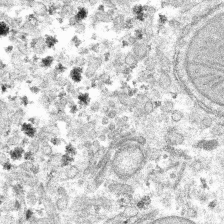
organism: Mouse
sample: Mouse hepatocytes